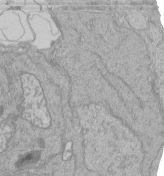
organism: Human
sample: Retinal organoid Rod and Cone cells